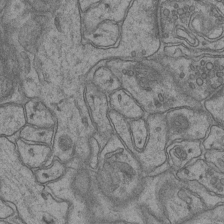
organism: Mouse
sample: CA1 Hippocampus